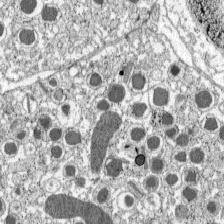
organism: C57BL Mouse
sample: Pancreatic islet